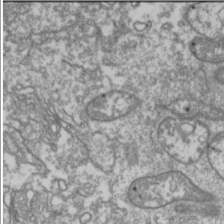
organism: Drosophila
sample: Cell division; meiosis; drosophila spermatocytes